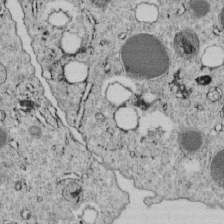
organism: C. elegans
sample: C. elegans embryo early stage